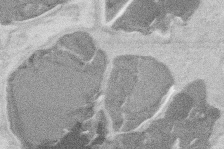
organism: Mouse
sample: T cell stromal cell synapse